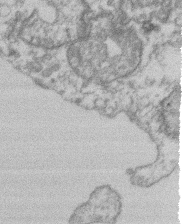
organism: Mouse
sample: T cell stromal cell synapse